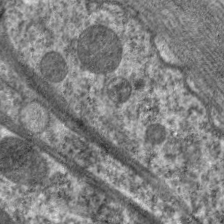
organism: C. elegans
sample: Pharynx